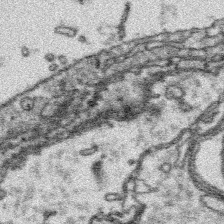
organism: Platynereis dumerilii